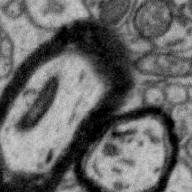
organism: Zebra finch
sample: Brain